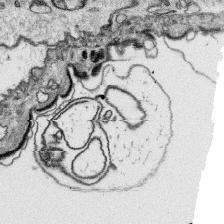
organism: Platynereis dumerilii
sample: Parapodia